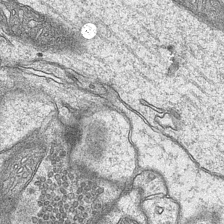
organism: Mouse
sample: CA1 Hippocampus